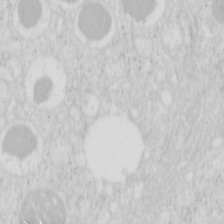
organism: Mouse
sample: Pancreas